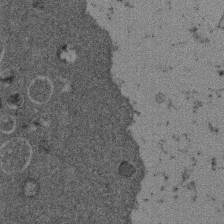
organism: Mouse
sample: Dividing mouse embryo 1 cell stage